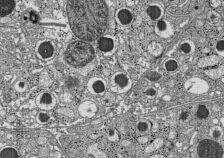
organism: C57BL Mouse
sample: Pancreatic islet